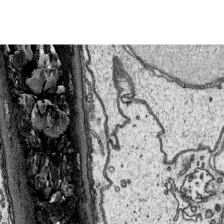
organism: Platynereis dumerilii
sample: Parapodia